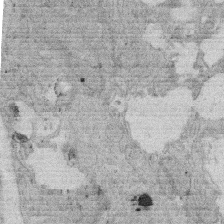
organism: Rat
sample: Salivary granule